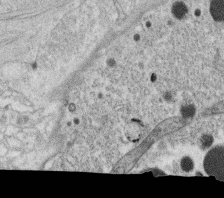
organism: C. elegans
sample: C. elegans oocyte; sperm cells